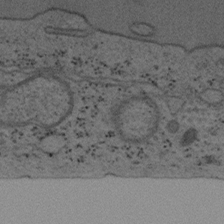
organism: Human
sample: HeLa cells